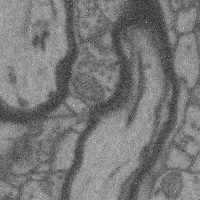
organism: Mouse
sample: Cerebral cortex